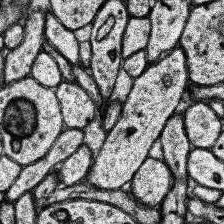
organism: Human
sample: Temporal Lobe